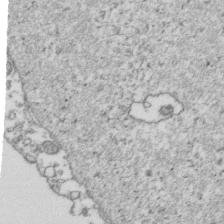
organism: Human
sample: Activated Jurkat CD4+ T cells